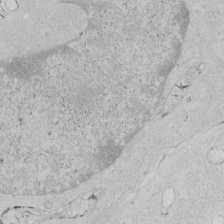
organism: Human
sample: Mitochondria in HCT116 cells